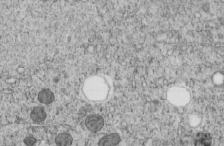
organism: C. elegans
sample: C. elegans embryo early stage